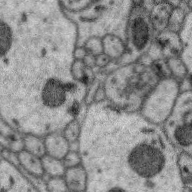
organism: Zebra finch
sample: Brain